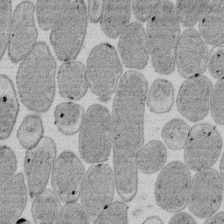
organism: E. coli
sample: Bacterial nucleoid